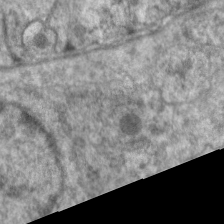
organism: C. elegans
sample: Pharynx